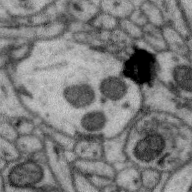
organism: Zebra finch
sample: Brain